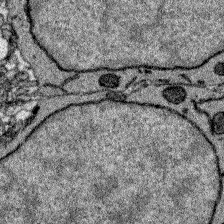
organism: Zebrafish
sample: Larval olfactory bulb